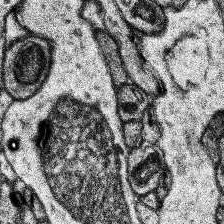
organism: Human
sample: Temporal Lobe